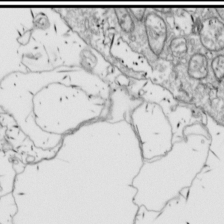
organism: Drosophila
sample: Cell division; meiosis; drosophila spermatocytes